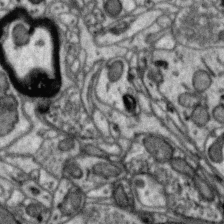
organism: Zebra finch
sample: Brain